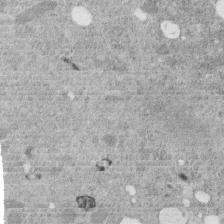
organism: C. elegans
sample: C. elegans embryo early stage